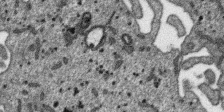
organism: Human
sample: Lung epithelial cells infected with SARS-CoV-2